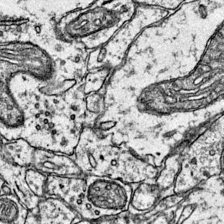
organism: Mouse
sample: Primary visual cortex